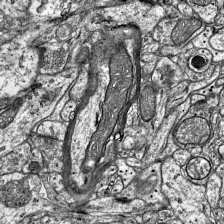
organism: Mouse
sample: Visual Cortex